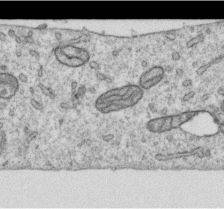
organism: Human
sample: Centriole in RPE cells